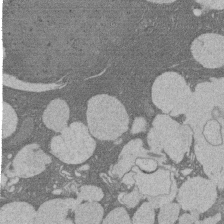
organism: Rat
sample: Salivary granule